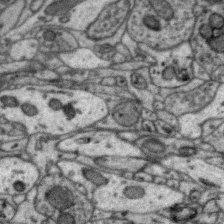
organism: Zebra finch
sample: Brain